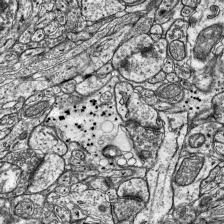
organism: Mouse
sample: Visual Cortex